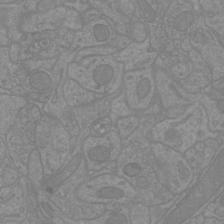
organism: Mouse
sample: Cortical neurons